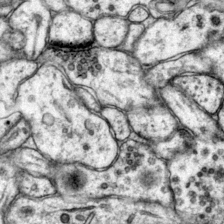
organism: Mouse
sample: Primary visual cortex